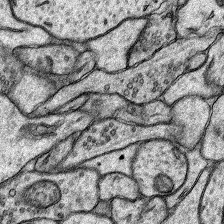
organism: Rat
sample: Hippocampus